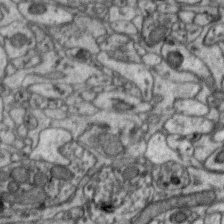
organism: Zebra finch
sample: Brain